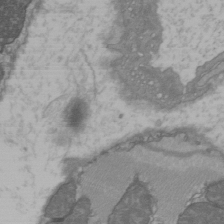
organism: C57BL Mouse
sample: Heart